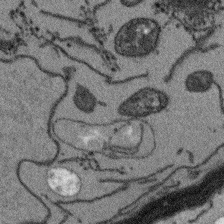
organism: Arabidopsis thaliana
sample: Root tip